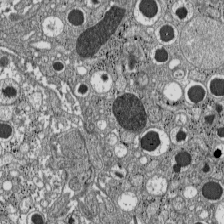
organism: C57BL Mouse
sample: Pancreatic islet